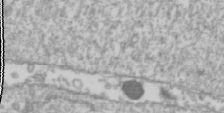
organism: Drosophila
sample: Cell division; meiosis; drosophila spermatocytes